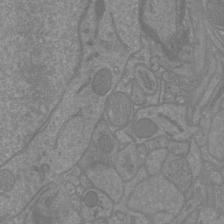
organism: Mouse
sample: Cortical neurons